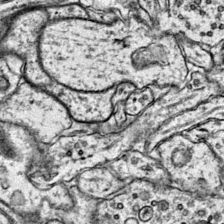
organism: Mouse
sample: Primary visual cortex